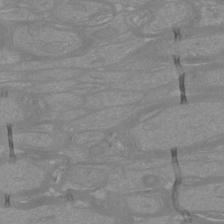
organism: Mouse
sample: Cortical neurons